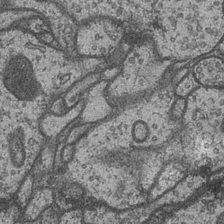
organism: Drosophila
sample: Optic medulla